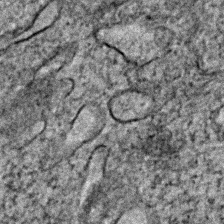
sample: Trachea